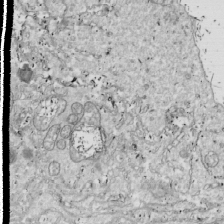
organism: Drosophila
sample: Cell division; meiosis; drosophila spermatocytes